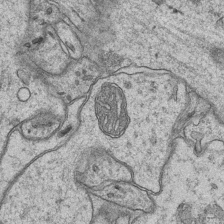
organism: Mouse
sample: CA1 Hippocampus